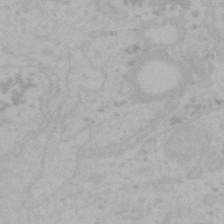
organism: Mouse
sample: Choroid plexus